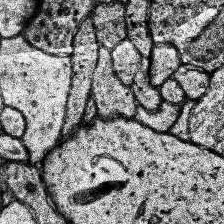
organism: Human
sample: Temporal Lobe